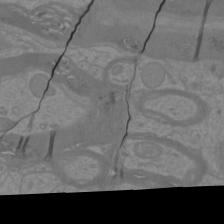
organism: Mouse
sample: Cortical neurons